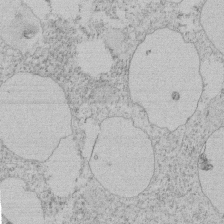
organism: Tetrahymena